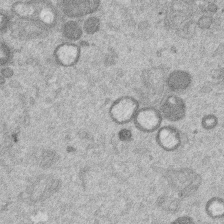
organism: Mouse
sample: Dividing mouse embryo 1 cell stage